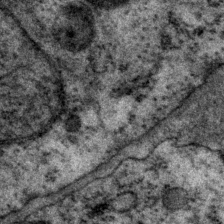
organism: P. pacificus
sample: Pharynx